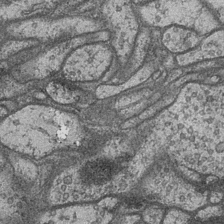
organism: Drosophila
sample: Optic medulla